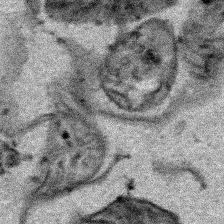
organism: Human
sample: Mitochondria in HCT116 cells